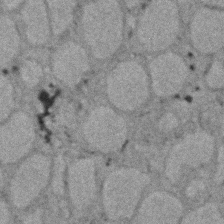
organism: Zebrafish